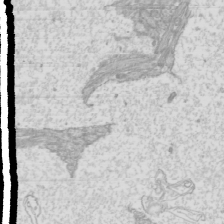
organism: Mouse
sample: Cilia; mouse epididymis